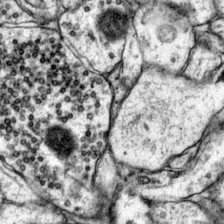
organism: Mouse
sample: Primary visual cortex